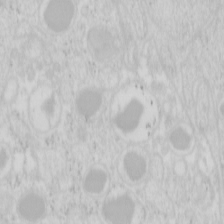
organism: Mouse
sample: Pancreas